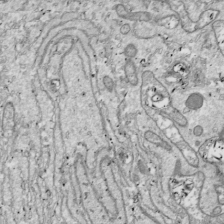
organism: Drosophila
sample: Cell division; meiosis; drosophila spermatocytes